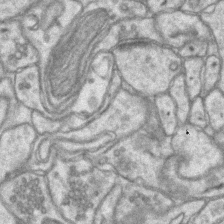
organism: Mouse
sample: CA1 Hippocampus